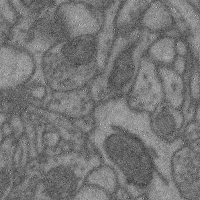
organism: Mouse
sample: Cerebral cortex